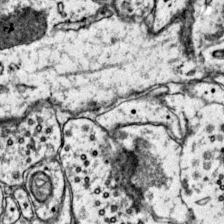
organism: Mouse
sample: Primary visual cortex